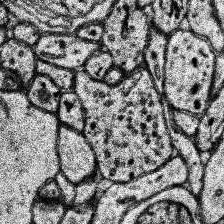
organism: Human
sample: Temporal Lobe